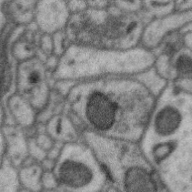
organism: Zebra finch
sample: Brain